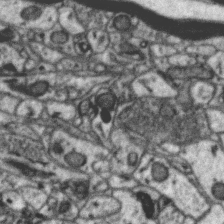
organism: Zebra finch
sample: Brain